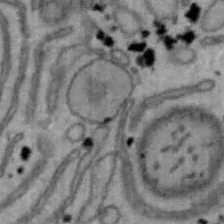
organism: Mouse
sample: Liver